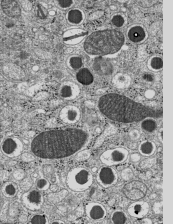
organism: C57BL Mouse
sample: Pancreatic islet